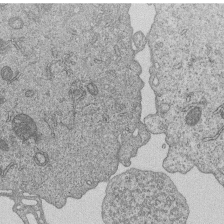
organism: Human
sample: MDA-MB-231 cells